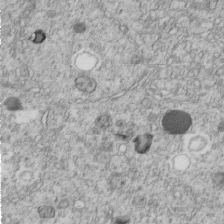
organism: C. elegans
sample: C. elegans embryo early stage